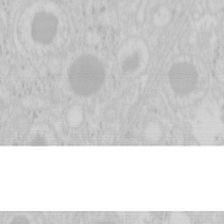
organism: Mouse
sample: Pancreas